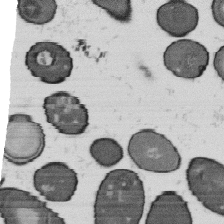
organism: B. subtilis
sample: Bacterial spore